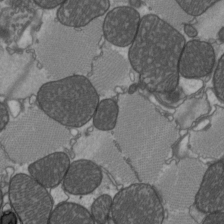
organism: C57BL Mouse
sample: Heart